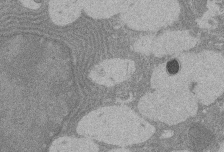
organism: Rat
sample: Salivary granule